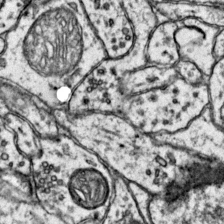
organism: Mouse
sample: Primary visual cortex